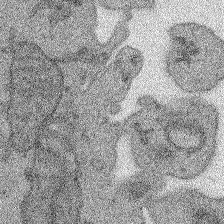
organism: Human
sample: HeLa cells